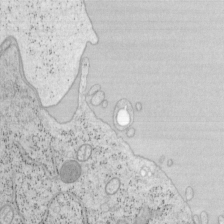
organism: Mouse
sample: OT-I killer T cells with ID8 ovarian cancer cells